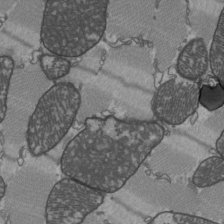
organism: C57BL Mouse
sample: Heart